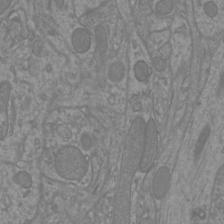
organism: Mouse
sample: Cortical neurons